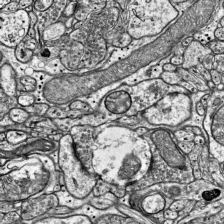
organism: Mouse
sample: Visual Cortex